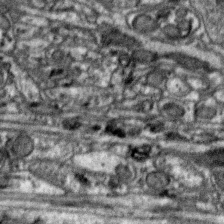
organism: Zebra finch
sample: Brain